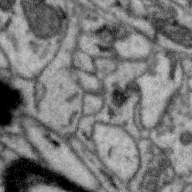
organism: Zebra finch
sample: Brain